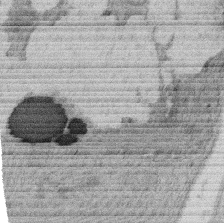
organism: Rat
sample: Salivary granule